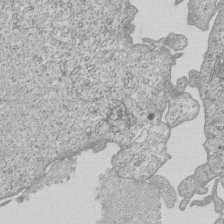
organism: Human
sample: MDA-MB-231 cells